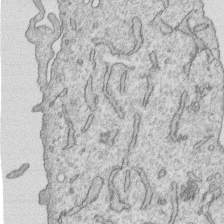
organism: Human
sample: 1205lu cells